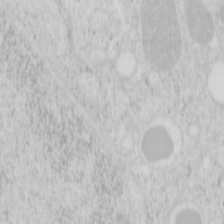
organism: Mouse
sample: Pancreas